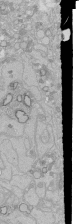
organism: Human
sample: Caco-2 cells